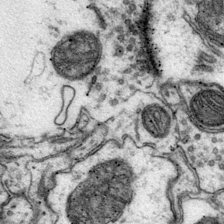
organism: Mouse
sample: Primary visual cortex